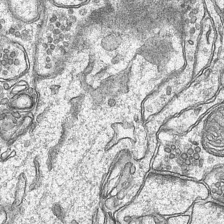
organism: Mouse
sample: CA1 Hippocampus